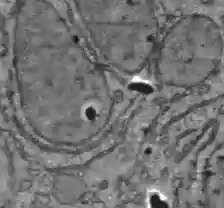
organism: C57BL Mouse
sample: Liver